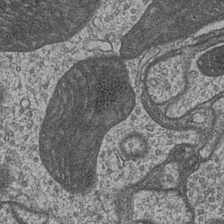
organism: Drosophila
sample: Optic medulla